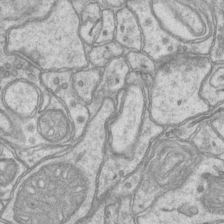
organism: Mouse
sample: CA1 Hippocampus